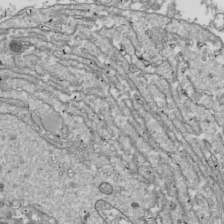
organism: Drosophila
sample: Cell division; meiosis; drosophila spermatocytes